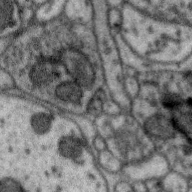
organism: Zebra finch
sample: Brain